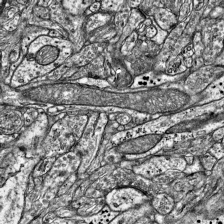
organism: Mouse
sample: Visual Cortex